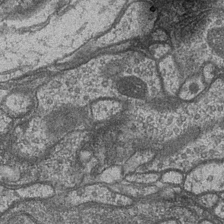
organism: Drosophila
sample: Optic medulla